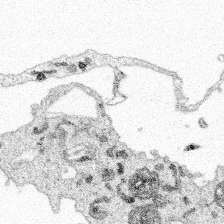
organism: Spongilla lacustris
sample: Multiple